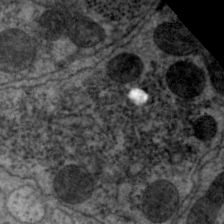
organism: C. elegans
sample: Pharynx